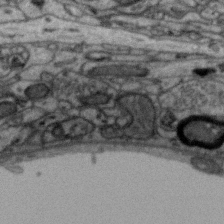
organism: Zebra finch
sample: Brain